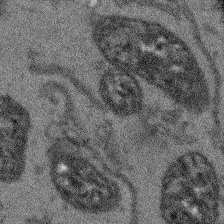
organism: Arabidopsis thaliana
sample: Root tip